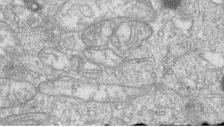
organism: Human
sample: HeLa cell HIV synapse